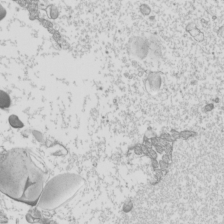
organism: Mouse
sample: Cilia; mouse epididymis